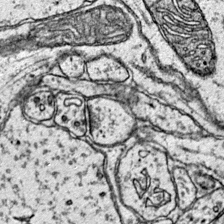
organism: Mouse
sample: Primary visual cortex